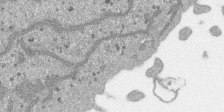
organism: Human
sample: Lung epithelial cells infected with SARS-CoV-2